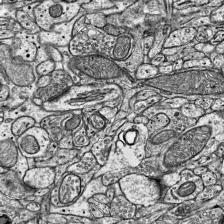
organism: Mouse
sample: Visual Cortex